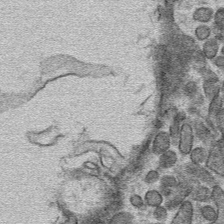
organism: Mouse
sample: Mouse hepatocytes